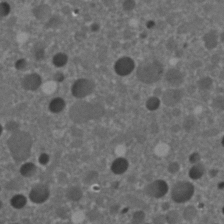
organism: C. elegans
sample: C. elegans embryo